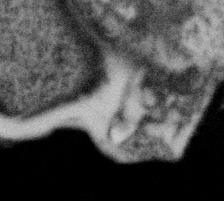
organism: Gemmata obscuriglobus